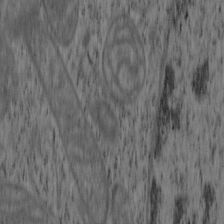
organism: Human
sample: HeLa cells